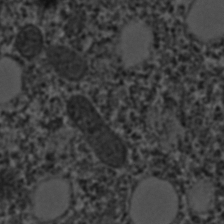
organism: C. elegans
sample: C. elegans embryo